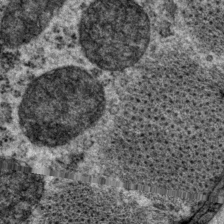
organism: P. pacificus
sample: Pharynx